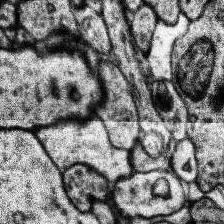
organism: Human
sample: Temporal Lobe